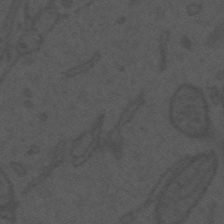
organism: Mouse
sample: Suprachiasmatic nucleus